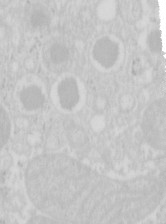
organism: Mouse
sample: Pancreas